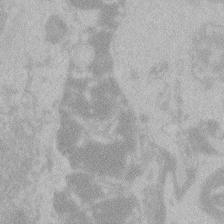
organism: Zebrafish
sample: Macrophage infected with Toxoplasma gondii